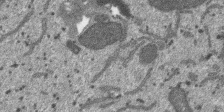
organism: Human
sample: Lung epithelial cells infected with SARS-CoV-2